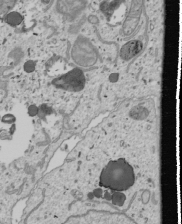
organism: Human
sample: Mitochondria in U2OS cells